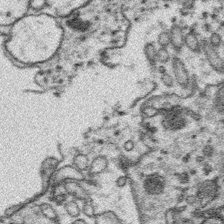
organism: Platynereis dumerilii